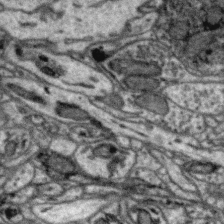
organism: Zebra finch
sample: Brain